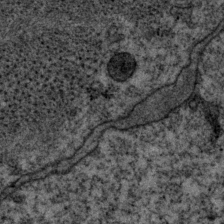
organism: P. pacificus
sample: Pharynx